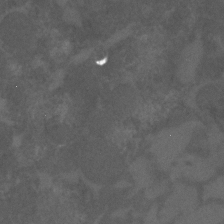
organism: C. elegans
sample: C. elegans embryo